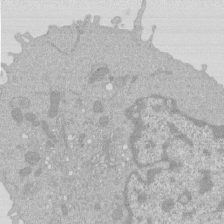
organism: Mouse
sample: Activated Pmel transgenic CD8+ T Cells